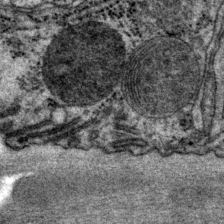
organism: P. pacificus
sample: Pharynx